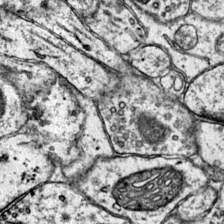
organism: Mouse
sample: Primary visual cortex